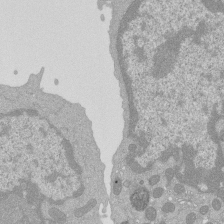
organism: Mouse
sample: Activated Pmel transgenic CD8+ T Cells